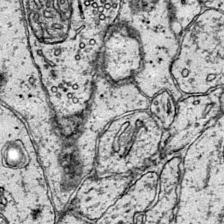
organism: Mouse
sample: Primary visual cortex